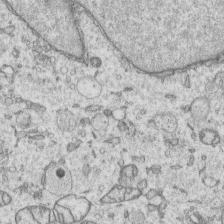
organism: Human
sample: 1205lu cells